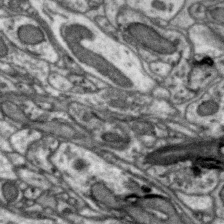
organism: Zebra finch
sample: Brain